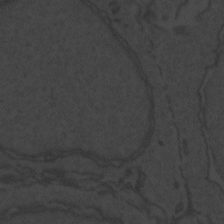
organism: Zebrafish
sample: Macrophage infected with Toxoplasma gondii